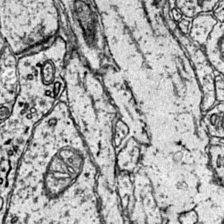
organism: Mouse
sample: Primary visual cortex